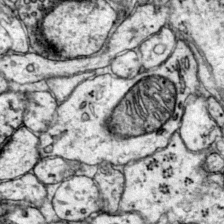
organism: Mouse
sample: Primary visual cortex